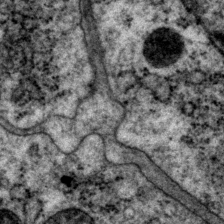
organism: P. pacificus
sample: Pharynx